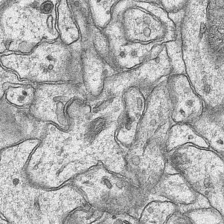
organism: Mouse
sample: CA1 Hippocampus